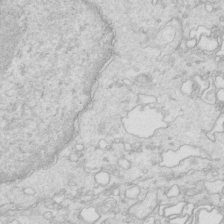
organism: Mouse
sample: Multiciliated cells